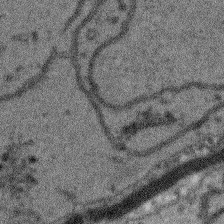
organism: Arabidopsis thaliana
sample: Root tip